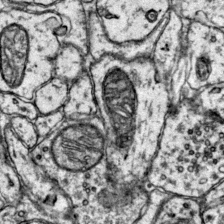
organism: Mouse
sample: Primary visual cortex